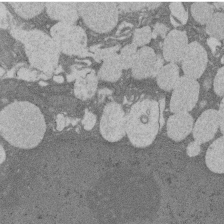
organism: Rat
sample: Salivary granule